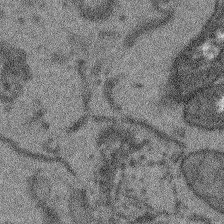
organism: Arabidopsis thaliana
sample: Root tip